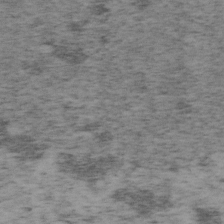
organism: Mouse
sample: OT-I killer T cells with ID8 ovarian cancer cells